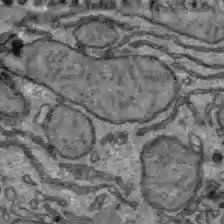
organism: C57BL Mouse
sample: Liver